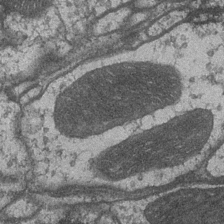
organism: Drosophila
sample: Optic medulla